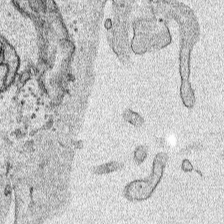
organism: Human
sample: Mitochondria in HCT116 cells